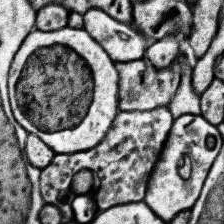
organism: Human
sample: Temporal Lobe